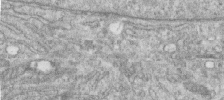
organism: Human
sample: Centriole in RPE cells